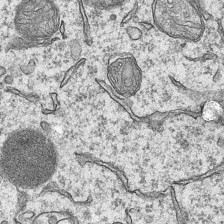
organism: Mouse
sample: CA1 Hippocampus